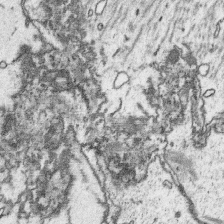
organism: Platynereis dumerilii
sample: Parapodia